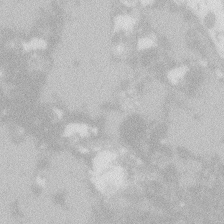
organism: Zebrafish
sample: Macrophage